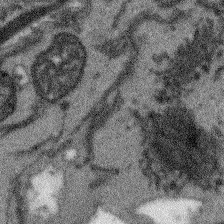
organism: Arabidopsis thaliana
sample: Root tip